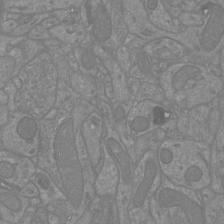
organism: Mouse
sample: Cortical neurons